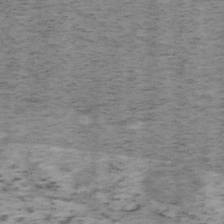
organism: Mouse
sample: OT-I killer T cells with ID8 ovarian cancer cells